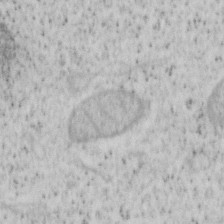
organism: Human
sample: HeLa cells